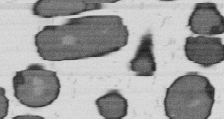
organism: B. subtilis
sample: Bacterial spore